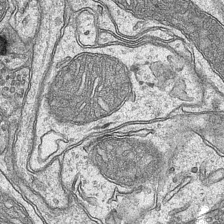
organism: Mouse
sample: CA1 Hippocampus